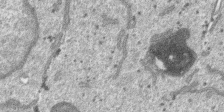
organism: Human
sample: Lung epithelial cells infected with SARS-CoV-2